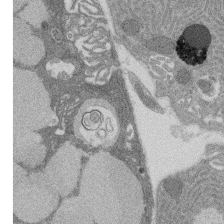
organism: Rat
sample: Salivary granule